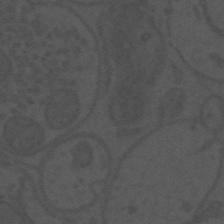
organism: Mouse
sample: Suprachiasmatic nucleus